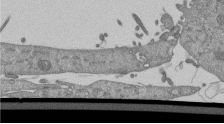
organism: Mouse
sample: ED-1 cell nuclei; centrioles